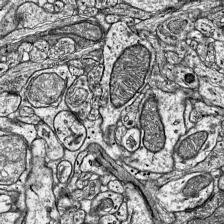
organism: Mouse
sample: Visual Cortex